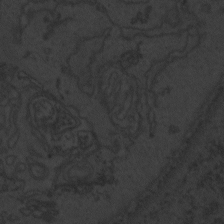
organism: Zebrafish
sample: Macrophage infected with Toxoplasma gondii